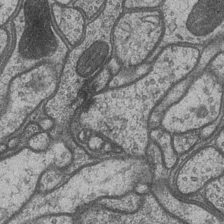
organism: Drosophila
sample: Optic medulla